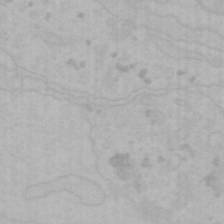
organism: Mouse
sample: Choroid plexus